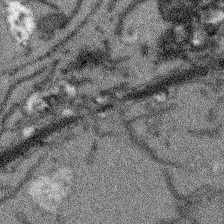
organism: Arabidopsis thaliana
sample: Root tip